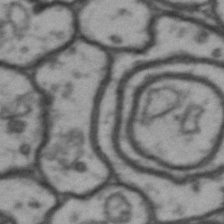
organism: Drosophila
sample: Brain